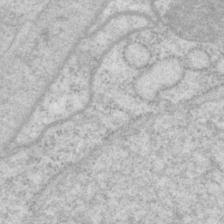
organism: P. pacificus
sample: Pharynx